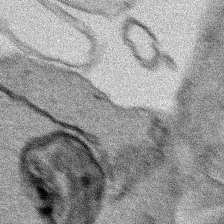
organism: Human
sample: Mitochondria in HCT116 cells